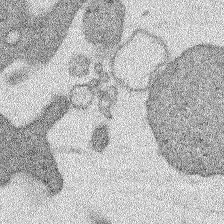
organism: Human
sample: HeLa cells